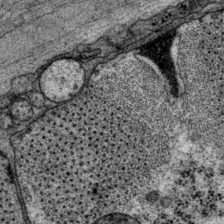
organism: P. pacificus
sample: Pharynx